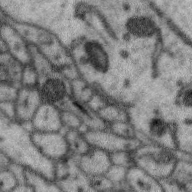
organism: Zebra finch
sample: Brain